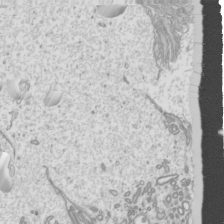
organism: Mouse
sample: Cilia; mouse epididymis